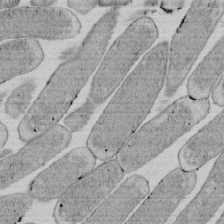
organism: E. coli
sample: Bacterial nucleoid